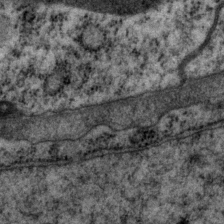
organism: P. pacificus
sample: Pharynx